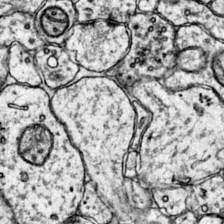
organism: Mouse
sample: Primary visual cortex